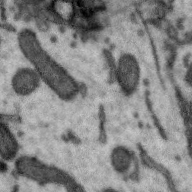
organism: Zebra finch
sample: Brain